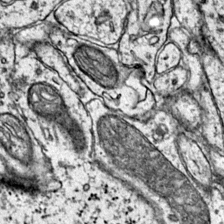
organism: Mouse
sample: Primary visual cortex